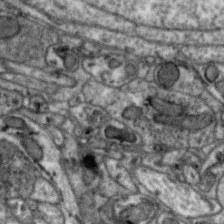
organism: Zebra finch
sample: Brain